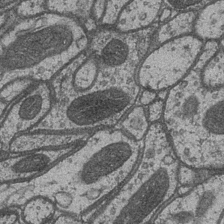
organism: Drosophila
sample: Optic medulla